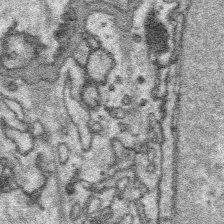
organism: Platynereis dumerilii